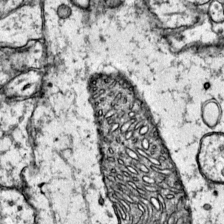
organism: Mouse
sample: Primary visual cortex